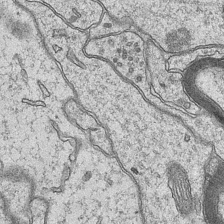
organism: Mouse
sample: CA1 Hippocampus